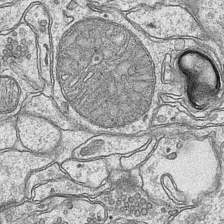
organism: Mouse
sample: CA1 Hippocampus